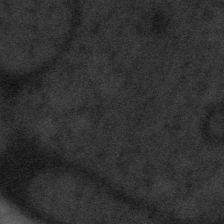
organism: Tuwongella immobilis